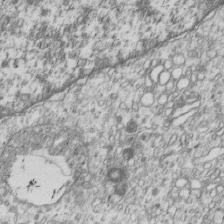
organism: Human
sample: MDA-MB-231 cells